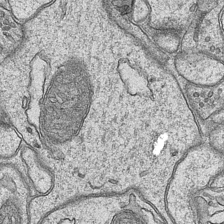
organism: Mouse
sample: CA1 Hippocampus